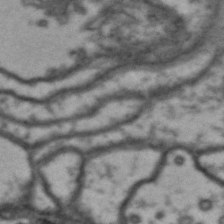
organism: Drosophila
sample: Brain